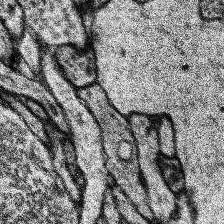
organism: Human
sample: Temporal Lobe